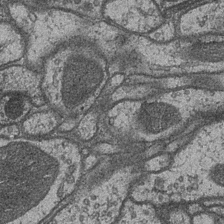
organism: Drosophila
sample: Optic medulla